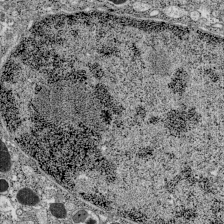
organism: C57BL Mouse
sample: Pancreatic islet